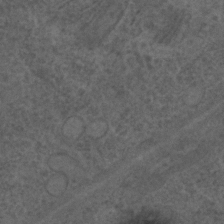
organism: C. elegans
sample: C. elegans embryo